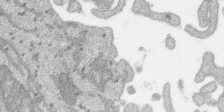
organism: Human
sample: Lung epithelial cells infected with SARS-CoV-2